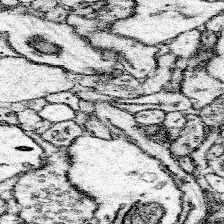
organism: Mouse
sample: Somatosensory cortex neuropil